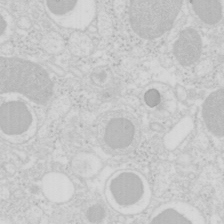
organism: Mouse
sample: Pancreas